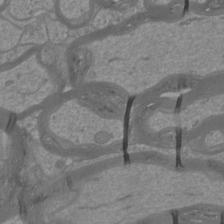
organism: Mouse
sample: Cortical neurons